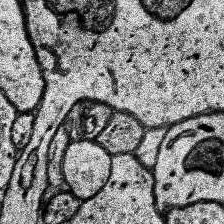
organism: Human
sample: Temporal Lobe